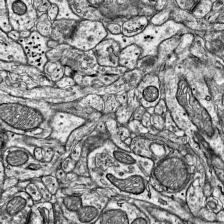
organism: Mouse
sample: Visual Cortex